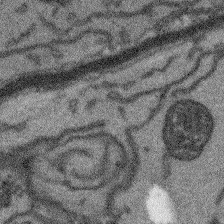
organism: Arabidopsis thaliana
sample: Root tip